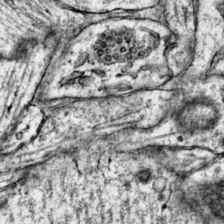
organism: Mouse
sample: Primary visual cortex